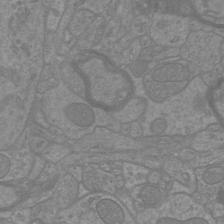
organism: Mouse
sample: Cortical neurons